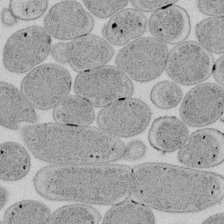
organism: E. coli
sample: Bacterial nucleoid